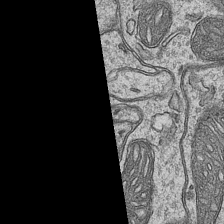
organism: Mouse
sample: CA1 Hippocampus